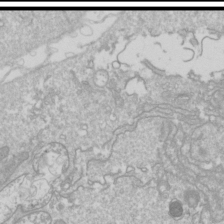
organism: Drosophila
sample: Cell division; meiosis; drosophila spermatocytes